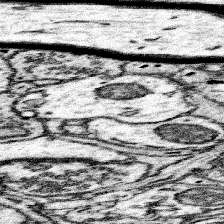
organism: Mouse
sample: Somatosensory cortex neuropil